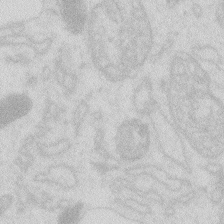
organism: Zebrafish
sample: Macrophage